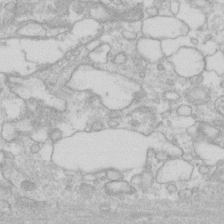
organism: Human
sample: Fibroblast cells